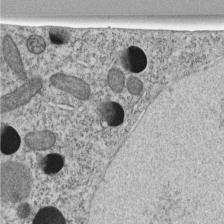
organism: C. elegans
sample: C. elegans embryo early stage